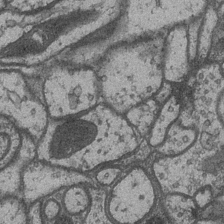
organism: Drosophila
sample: Optic medulla